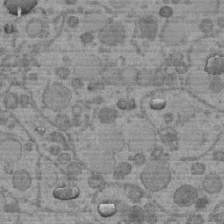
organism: C. elegans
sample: C. elegans embryo early stage